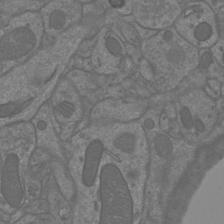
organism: Mouse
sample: Cortical neurons